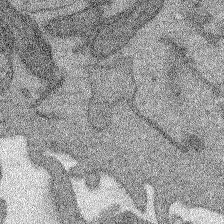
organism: Human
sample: HeLa cells